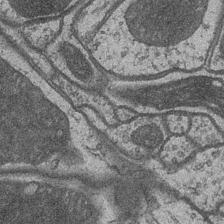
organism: Drosophila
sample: Optic medulla